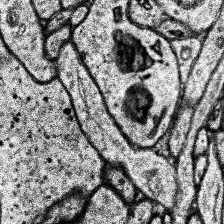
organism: Human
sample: Temporal Lobe